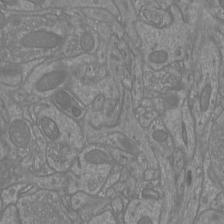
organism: Mouse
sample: Cortical neurons